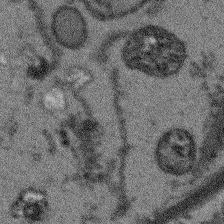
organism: Arabidopsis thaliana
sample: Root tip